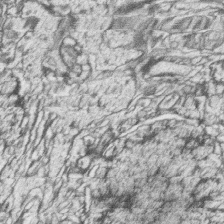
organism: Zebrafish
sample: synaptic ribbons in rod cells and cone cells